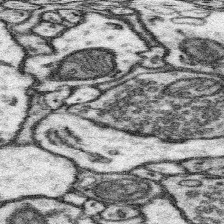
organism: Mouse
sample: Somatosensory cortex neuropil